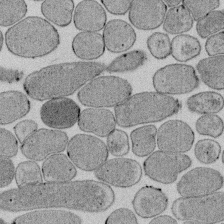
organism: E. coli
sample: Bacterial nucleoid